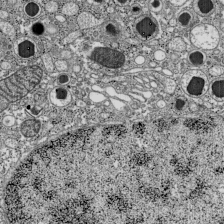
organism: C57BL Mouse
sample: Pancreatic islet